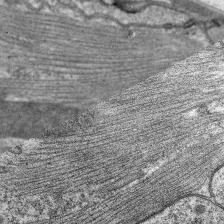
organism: C. elegans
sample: Pharynx